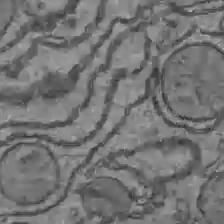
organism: C57BL Mouse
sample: Liver